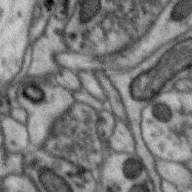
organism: Zebra finch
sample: Brain